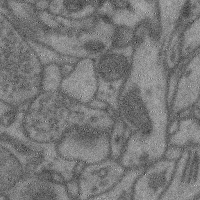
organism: Mouse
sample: Cerebral cortex